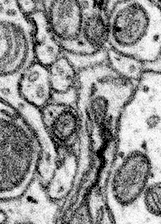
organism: Mouse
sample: Somatosensory cortex neuropil